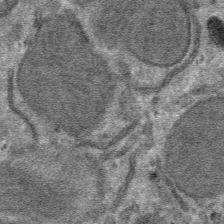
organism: Mouse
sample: Mouse hepatocytes